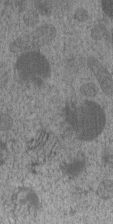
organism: C. elegans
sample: C. elegans embryo early stage